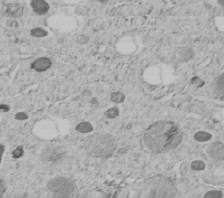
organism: C. elegans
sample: C. elegans embryo early stage